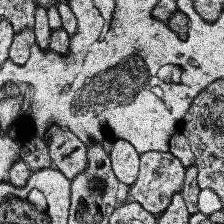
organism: Human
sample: Temporal Lobe